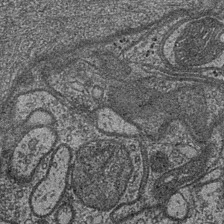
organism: Drosophila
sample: Optic medulla